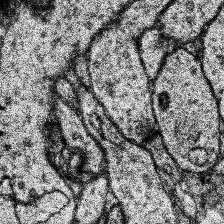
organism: Human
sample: Temporal Lobe